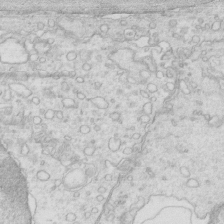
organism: Mouse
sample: Multiciliated cells